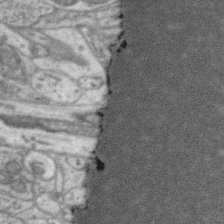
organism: Zebra finch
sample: Brain